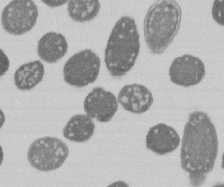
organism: E. coli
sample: Bacterial nucleoid